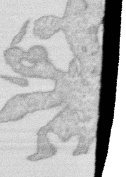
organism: Human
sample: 1205lu cells